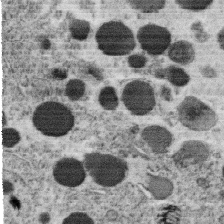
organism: C. elegans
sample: C. elegans oocyte; sperm cells